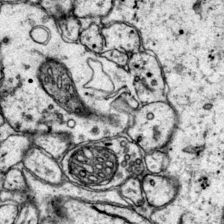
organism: Mouse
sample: Primary visual cortex